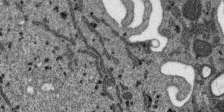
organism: Human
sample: Lung epithelial cells infected with SARS-CoV-2